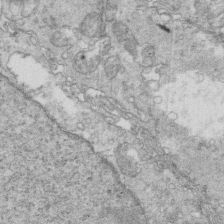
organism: Mouse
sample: Multiciliated cells